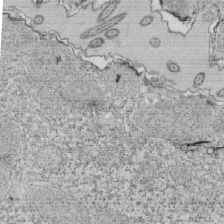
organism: Tetrahymena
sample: Cilia in tetrahymena